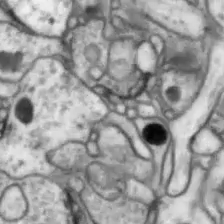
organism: Drosophila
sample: Optic lobe